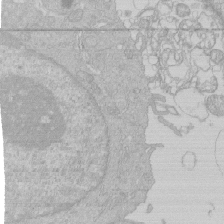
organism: Human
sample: Macrophage cells